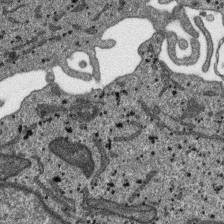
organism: Human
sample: Lung epithelial cells infected with SARS-CoV-2